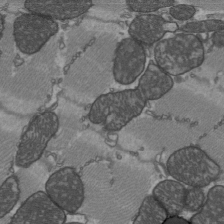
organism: C57BL Mouse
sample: Heart